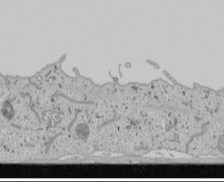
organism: Human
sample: Mitochondria in U2OS cells